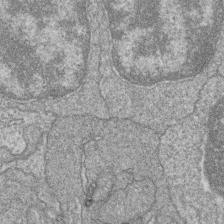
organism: Zebrafish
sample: Cilia; retinal pigment epithelium